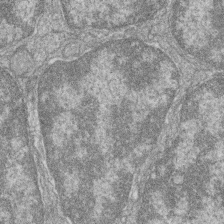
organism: Zebrafish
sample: Cilia; retinal pigment epithelium